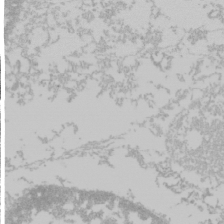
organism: Mouse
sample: Cancer cell death in ED-1 cells